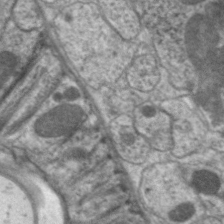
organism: C. elegans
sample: Pharynx